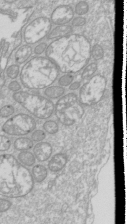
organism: Drosophila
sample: Cell division; meiosis; drosophila spermatocytes